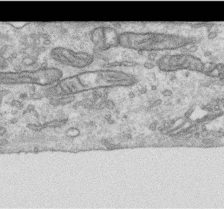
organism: Human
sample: Centriole in RPE cells